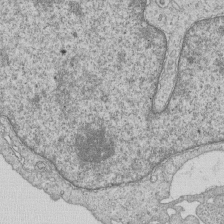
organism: Human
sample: MDA-MB-231 cells